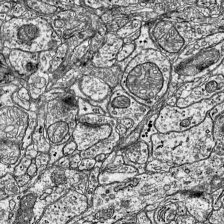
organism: Mouse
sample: Visual Cortex